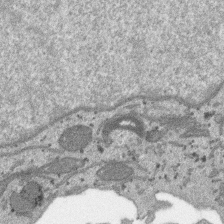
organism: Human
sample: Lung epithelial cells infected with SARS-CoV-2